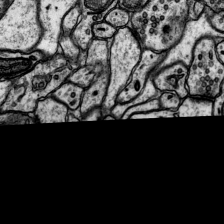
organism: Rat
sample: Hippocampus